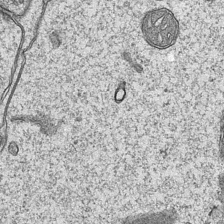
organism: Mouse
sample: CA1 Hippocampus